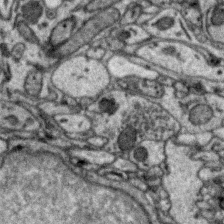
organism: Zebra finch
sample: Brain